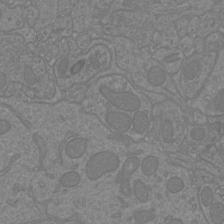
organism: Mouse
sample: Cortical neurons